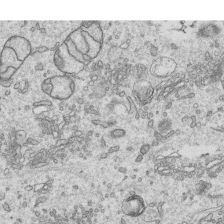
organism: Human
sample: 1205lu cells